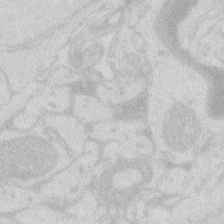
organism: Zebrafish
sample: Macrophage